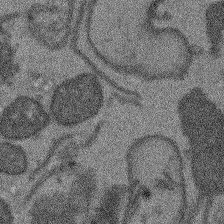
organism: Arabidopsis thaliana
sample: Root tip